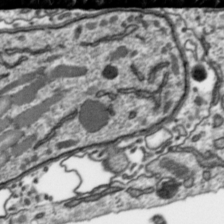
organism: Toxoplasma gondii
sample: Parasites in a vacuole inside a host cell